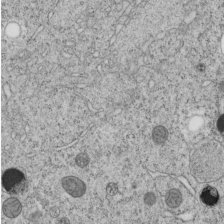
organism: C. elegans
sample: C. elegans embryo early stage